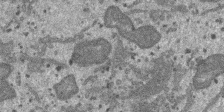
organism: Human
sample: Lung epithelial cells infected with SARS-CoV-2